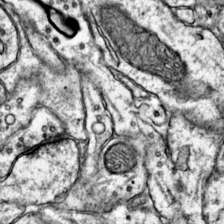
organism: Mouse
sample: Primary visual cortex